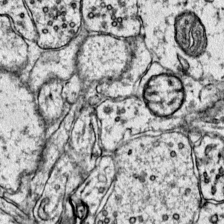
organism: Mouse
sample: Primary visual cortex